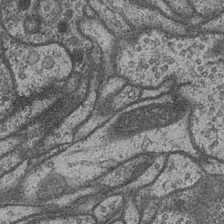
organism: Drosophila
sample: Optic medulla